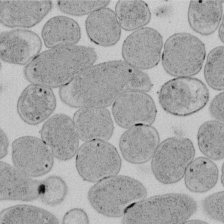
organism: E. coli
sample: Bacterial nucleoid